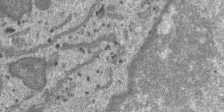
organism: Human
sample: Lung epithelial cells infected with SARS-CoV-2